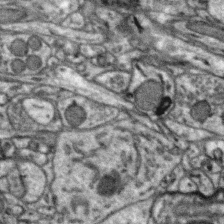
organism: Zebra finch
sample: Brain